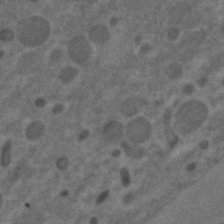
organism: C. elegans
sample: C. elegans embryo